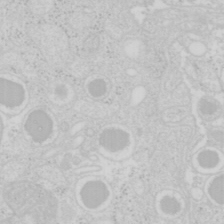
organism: Mouse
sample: Pancreas